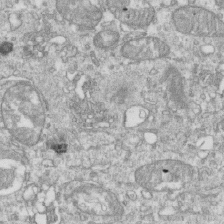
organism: Mouse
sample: Activated OT-1 CD8+ T cells